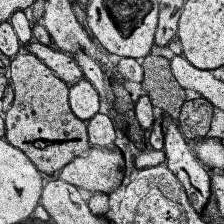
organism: Human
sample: Temporal Lobe